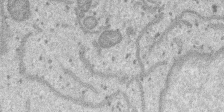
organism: Human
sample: Lung epithelial cells infected with SARS-CoV-2